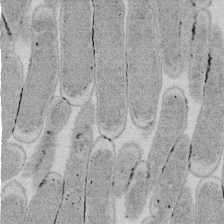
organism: E. coli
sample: Bacterial nucleoid